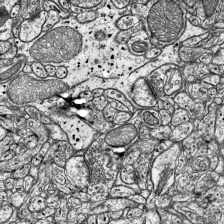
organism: Mouse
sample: Visual Cortex